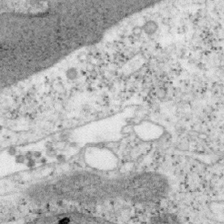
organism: Mouse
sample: OT-I killer T cells with ID8 ovarian cancer cells